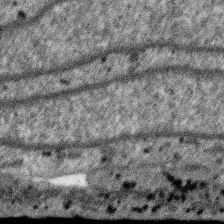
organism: Human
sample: Lung epithelial cells infected with SARS-CoV-2